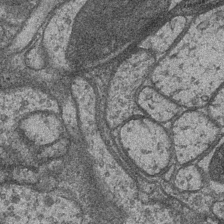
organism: Drosophila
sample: Optic medulla